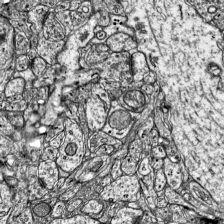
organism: Mouse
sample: Visual Cortex